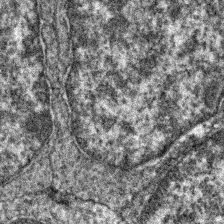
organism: Zebrafish